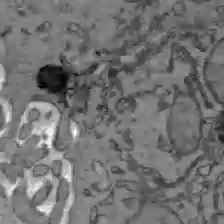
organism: C57BL Mouse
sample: Liver